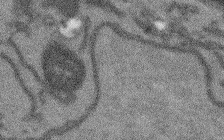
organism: Arabidopsis thaliana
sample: Root tip